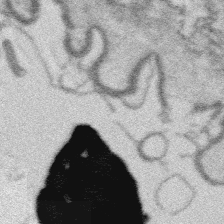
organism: Platynereis dumerilii